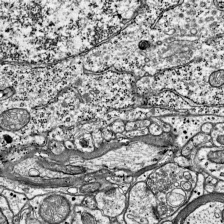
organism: Mouse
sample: Visual Cortex